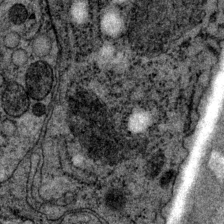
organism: P. pacificus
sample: Pharynx